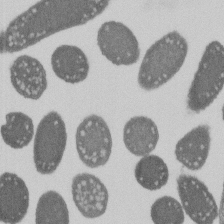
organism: E. coli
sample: Bacterial nucleoid